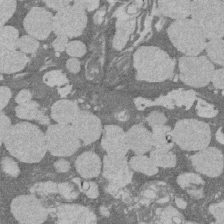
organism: Rat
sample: Salivary granule